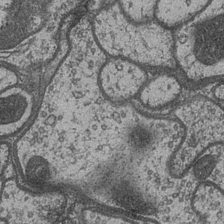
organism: Drosophila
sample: Optic medulla